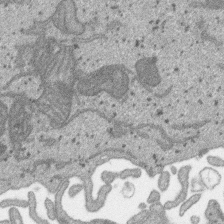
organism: Human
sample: Lung epithelial cells infected with SARS-CoV-2